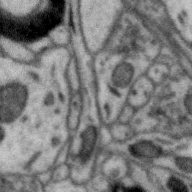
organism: Zebra finch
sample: Brain